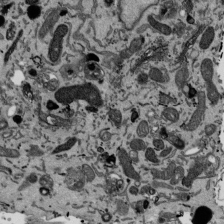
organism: Mouse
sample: ED-1 cell nuclei; centrioles